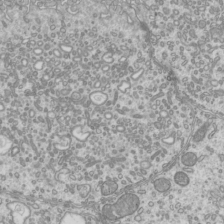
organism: Mouse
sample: Cilia; mouse epididymis